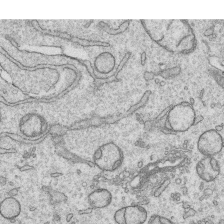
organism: Human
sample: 1205lu cells